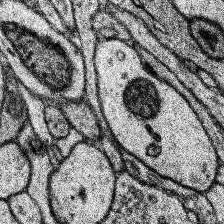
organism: Human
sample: Temporal Lobe